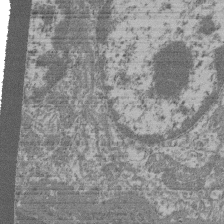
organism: Mouse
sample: Glomerulus